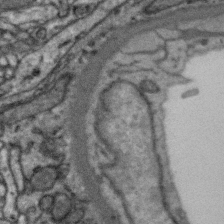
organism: Zebra finch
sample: Brain